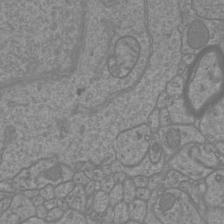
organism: Mouse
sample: Cortical neurons